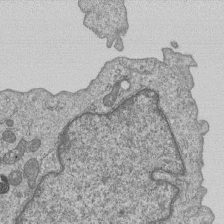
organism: Human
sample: MDA-MB-231 cells